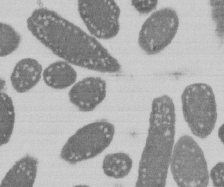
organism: E. coli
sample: Bacterial nucleoid